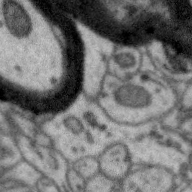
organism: Zebra finch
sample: Brain